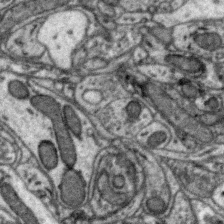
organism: Zebra finch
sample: Brain